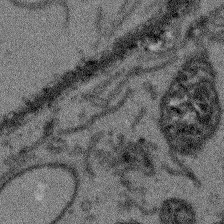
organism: Arabidopsis thaliana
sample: Root tip